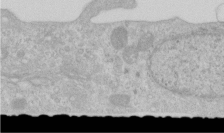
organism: Human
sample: Centriole in RPE cells